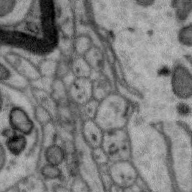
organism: Zebra finch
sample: Brain